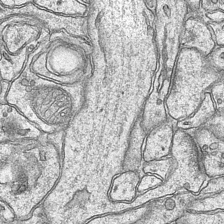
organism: Mouse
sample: CA1 Hippocampus